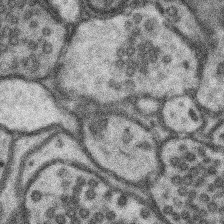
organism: Mouse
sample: Somatosensory cortex neuropil